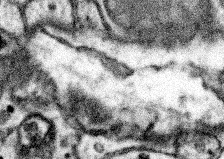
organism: Mouse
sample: Somatosensory cortex neuropil